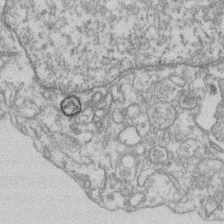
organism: Mouse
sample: T cell stromal cell synapse